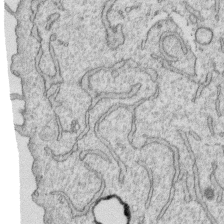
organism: Human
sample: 1205lu cells